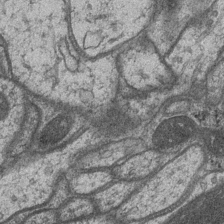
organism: Drosophila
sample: Optic medulla